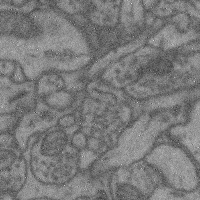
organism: Mouse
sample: Cerebral cortex